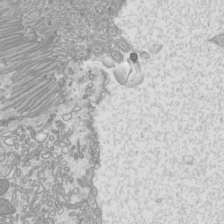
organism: Mouse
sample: Cilia; mouse epididymis